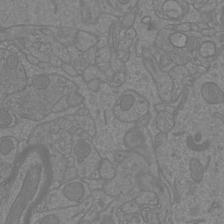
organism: Mouse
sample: Cortical neurons